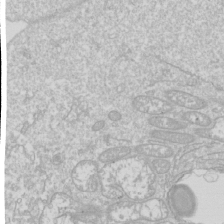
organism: Drosophila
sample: Cell division; meiosis; drosophila spermatocytes